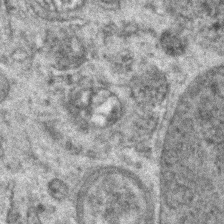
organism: Zebrafish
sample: Zebrafish embryo